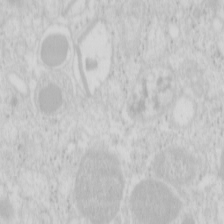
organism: Mouse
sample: Pancreas